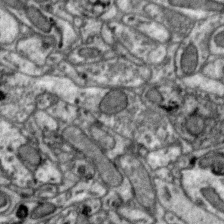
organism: Zebra finch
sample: Brain